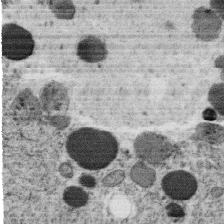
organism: C. elegans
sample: C. elegans oocyte; sperm cells